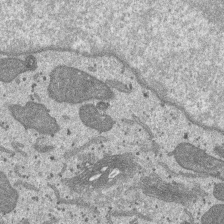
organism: Human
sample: Lung epithelial cells infected with SARS-CoV-2